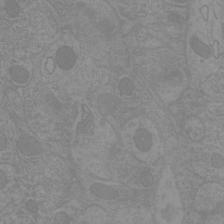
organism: Mouse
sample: Cortical neurons